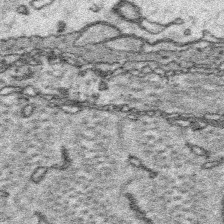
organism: Platynereis dumerilii